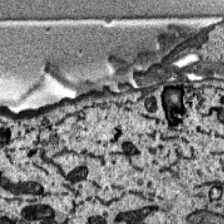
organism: Human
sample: HeLa cells